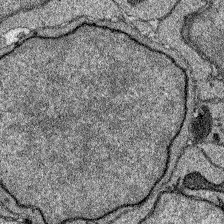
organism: Zebrafish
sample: Larval olfactory bulb